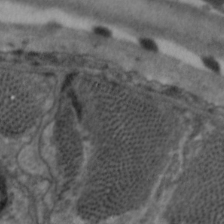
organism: C. elegans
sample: Pharynx